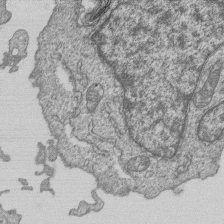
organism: Human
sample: MDA-MB-231 cells